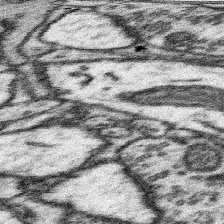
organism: Mouse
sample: Somatosensory cortex neuropil